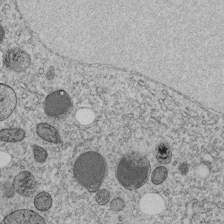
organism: C. elegans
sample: C. elegans embryo early stage